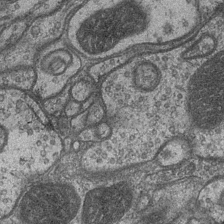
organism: Drosophila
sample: Optic medulla